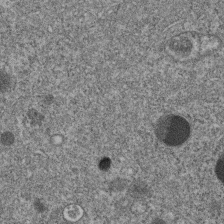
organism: C. elegans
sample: C. elegans embryo early stage